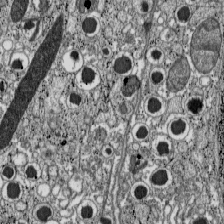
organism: C57BL Mouse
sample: Pancreatic islet